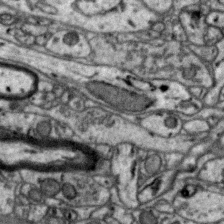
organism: Zebra finch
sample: Brain